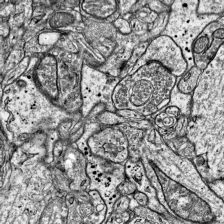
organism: Mouse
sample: Visual Cortex